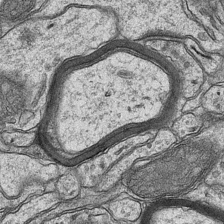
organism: Mouse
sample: CA1 Hippocampus